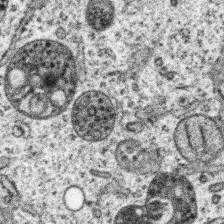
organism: Human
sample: HeLa cells